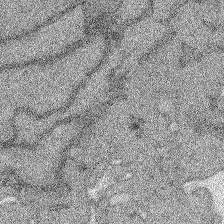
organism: Human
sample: HeLa cells